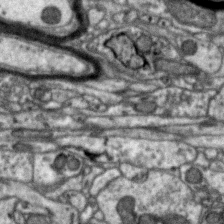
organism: Zebra finch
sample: Brain